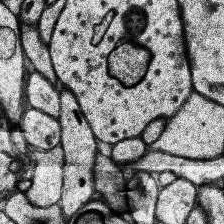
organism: Human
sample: Temporal Lobe